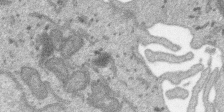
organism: Human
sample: Lung epithelial cells infected with SARS-CoV-2